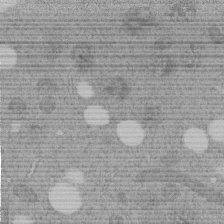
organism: C. elegans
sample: C. elegans embryo early stage